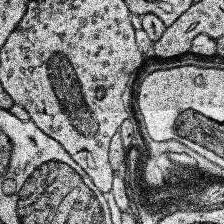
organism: Human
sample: Temporal Lobe